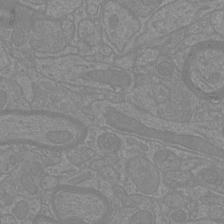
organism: Mouse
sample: Cortical neurons